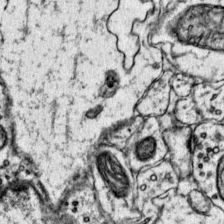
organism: Mouse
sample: Primary visual cortex